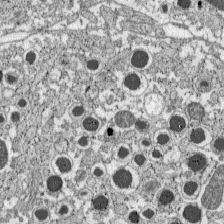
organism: C57BL Mouse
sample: Pancreatic islet